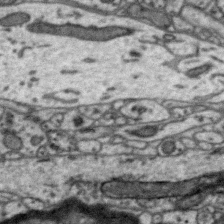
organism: Zebra finch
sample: Brain